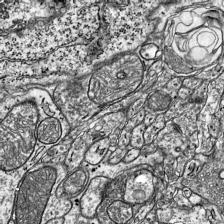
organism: Mouse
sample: Visual Cortex